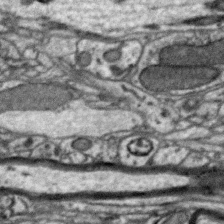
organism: Zebra finch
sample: Brain